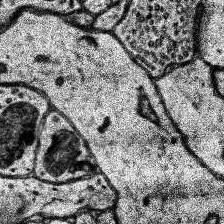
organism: Human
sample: Temporal Lobe